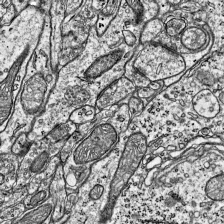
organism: Mouse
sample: Visual Cortex